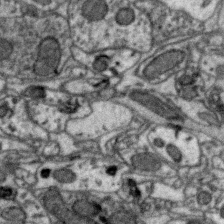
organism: Zebra finch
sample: Brain